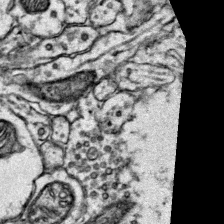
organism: Mouse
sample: Primary visual cortex